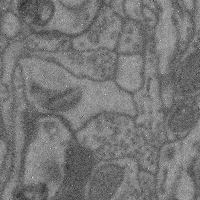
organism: Mouse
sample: Cerebral cortex